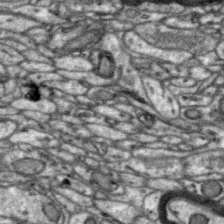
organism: Zebra finch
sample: Brain